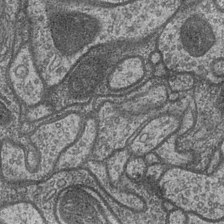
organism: Drosophila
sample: Optic medulla